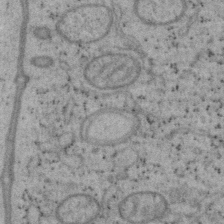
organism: Human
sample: HeLa cells